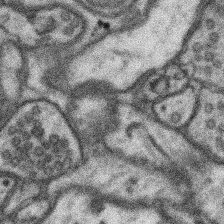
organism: Mouse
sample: Somatosensory cortex neuropil